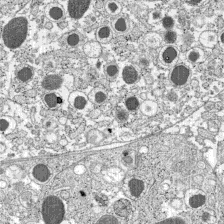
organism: C57BL Mouse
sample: Pancreatic islet